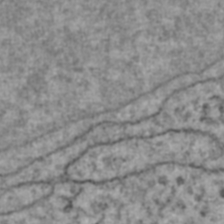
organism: Human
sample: Blood